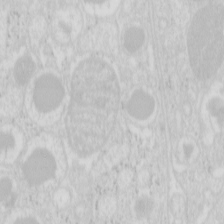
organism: Mouse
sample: Pancreas